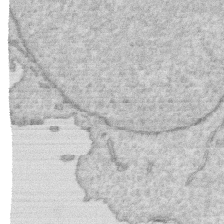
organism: Human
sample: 1205lu cells